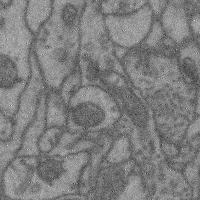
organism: Mouse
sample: Cerebral cortex